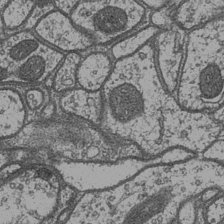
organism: Drosophila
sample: Optic medulla